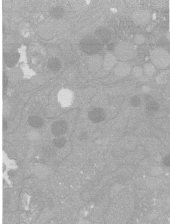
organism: C. elegans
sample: C. elegans oocyte; sperm cells